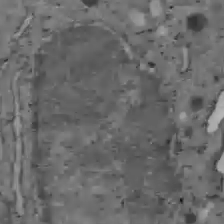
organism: C57BL Mouse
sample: Liver